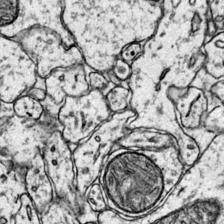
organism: Mouse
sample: Primary visual cortex